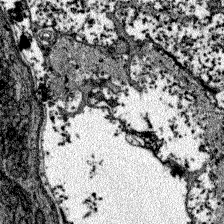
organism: Zebrafish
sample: Larval olfactory bulb